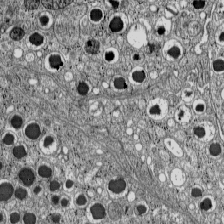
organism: C57BL Mouse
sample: Pancreatic islet